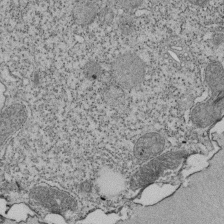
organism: Tetrahymena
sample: Cilia in tetrahymena